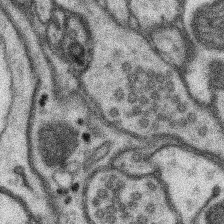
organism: Mouse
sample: Somatosensory cortex neuropil